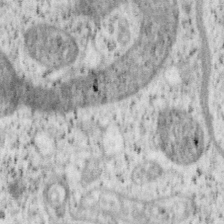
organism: Mouse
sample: OT-I killer T cells with ID8 ovarian cancer cells